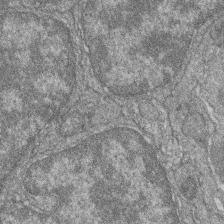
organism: Zebrafish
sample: Cilia; retinal pigment epithelium